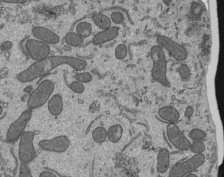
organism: Mouse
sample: Mouse epididymis efferent ductule cilia